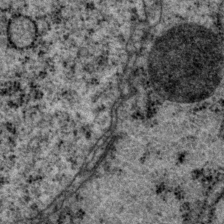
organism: P. pacificus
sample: Pharynx